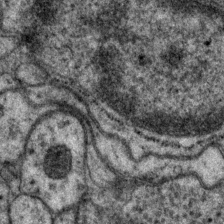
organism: P. pacificus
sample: Pharynx